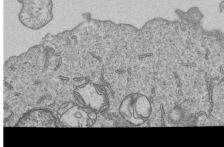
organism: Human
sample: MDA-MB-231 cells